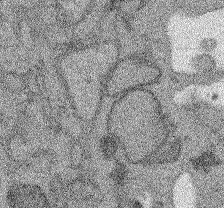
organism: Human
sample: HeLa cells